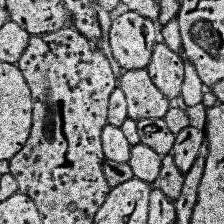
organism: Human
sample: Temporal Lobe